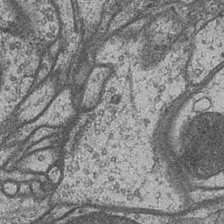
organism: Drosophila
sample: Optic medulla